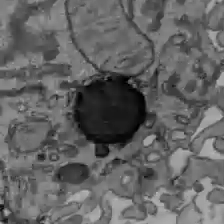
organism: C57BL Mouse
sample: Liver